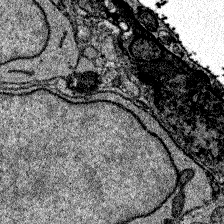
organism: Zebrafish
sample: Larval olfactory bulb